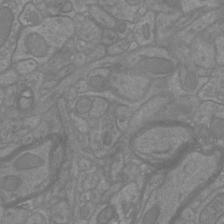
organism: Mouse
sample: Cortical neurons